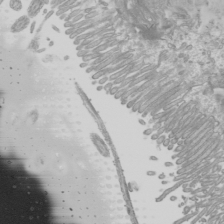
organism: Mouse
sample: Cilia; mouse epididymis